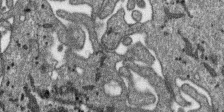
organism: Human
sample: Lung epithelial cells infected with SARS-CoV-2